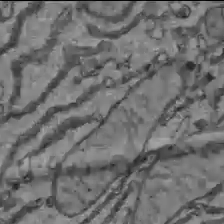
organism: C57BL Mouse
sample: Liver